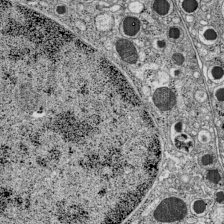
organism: C57BL Mouse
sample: Pancreatic islet